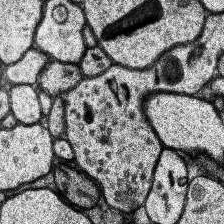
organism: Human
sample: Temporal Lobe